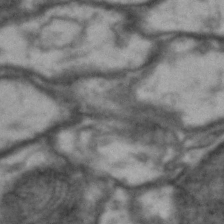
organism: Drosophila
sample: Brain